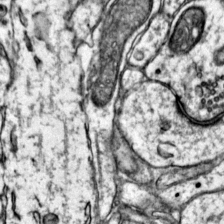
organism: Mouse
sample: Primary visual cortex